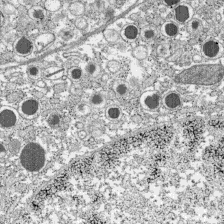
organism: C57BL Mouse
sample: Pancreatic islet